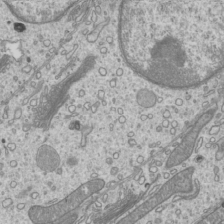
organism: Mouse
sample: Cilia; mouse epididymis